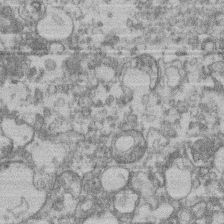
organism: Mouse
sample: T cell stromal cell synapse